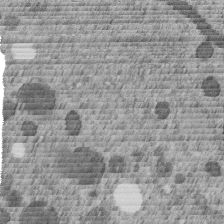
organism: C. elegans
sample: C. elegans embryo early stage